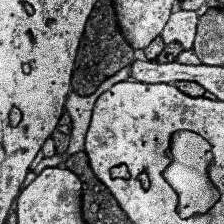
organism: Human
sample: Temporal Lobe